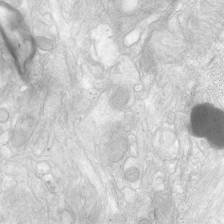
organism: Human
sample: Neocortex